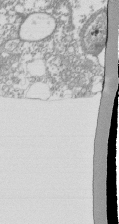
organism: Mouse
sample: Activated Pmel transgenic CD8+ T Cells